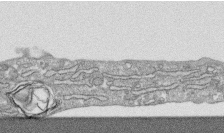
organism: Human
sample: CRL-1474